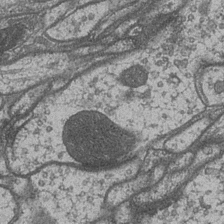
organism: Drosophila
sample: Optic medulla